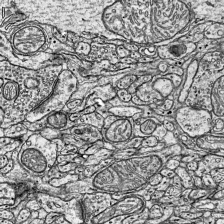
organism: Mouse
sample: Visual Cortex